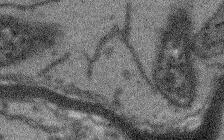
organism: Arabidopsis thaliana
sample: Root tip